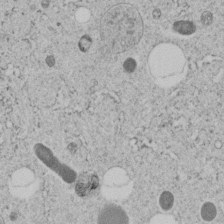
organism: C. elegans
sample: C. elegans embryo early stage